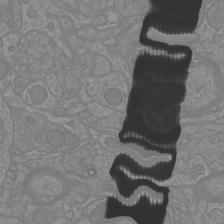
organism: Mouse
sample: Cortical neurons